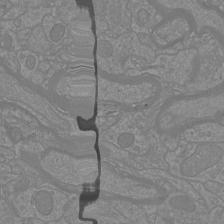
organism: Mouse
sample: Cortical neurons